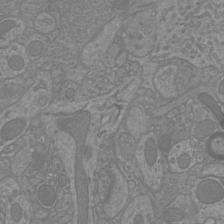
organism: Mouse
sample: Cortical neurons